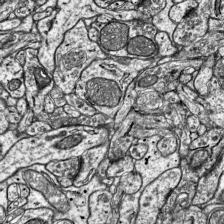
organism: Mouse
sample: Visual Cortex